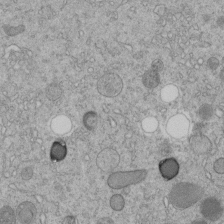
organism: C. elegans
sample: C. elegans embryo early stage